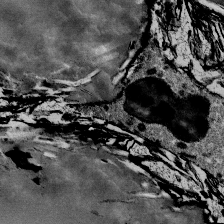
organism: Mouse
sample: Mouse Salivary gland